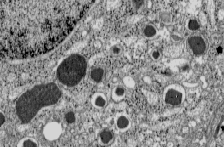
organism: C57BL Mouse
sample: Pancreatic islet